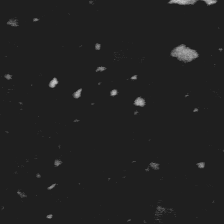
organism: Platynereis dumerilii